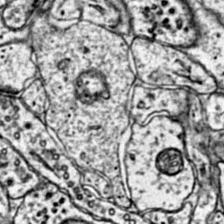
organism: Mouse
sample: Primary visual cortex